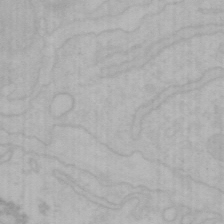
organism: Mouse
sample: Choroid plexus